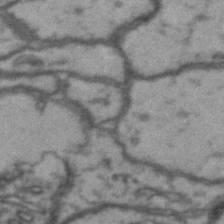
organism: Drosophila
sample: Brain